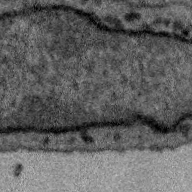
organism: Zebra finch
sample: Brain